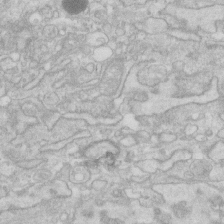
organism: Human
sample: Fibroblast cells